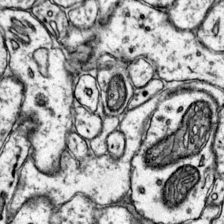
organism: Mouse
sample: Primary visual cortex